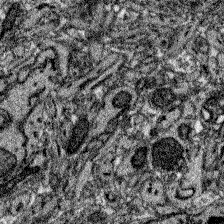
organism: Zebrafish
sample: Larval olfactory bulb